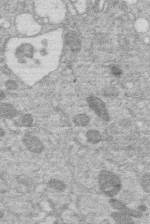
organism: Human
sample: Macrophage cells